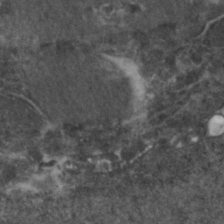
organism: Zebrafish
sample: Zebrafish embryo